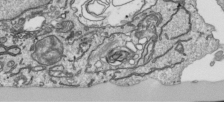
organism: Human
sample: Mitochondria in HCT116 cells